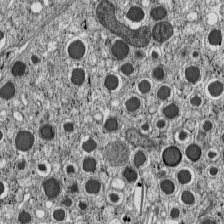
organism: C57BL Mouse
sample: Pancreatic islet